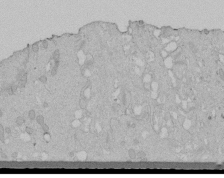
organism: Human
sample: Melanocyte Keratinocyte synapse skin construct